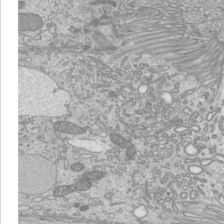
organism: Mouse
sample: Cilia; mouse epididymis